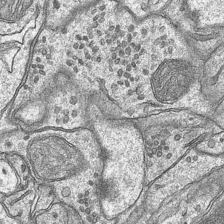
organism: Mouse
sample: CA1 Hippocampus